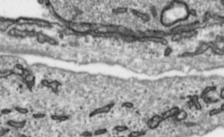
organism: Toxoplasma gondii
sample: Parasites in a vacuole inside a host cell